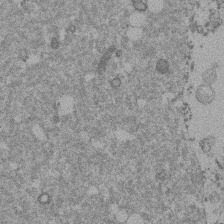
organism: Mouse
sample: Dividing mouse embryo 1 cell stage